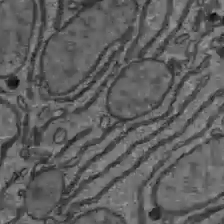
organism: C57BL Mouse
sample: Liver